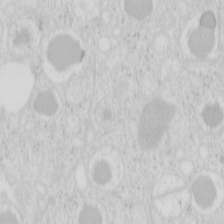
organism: Mouse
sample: Pancreas